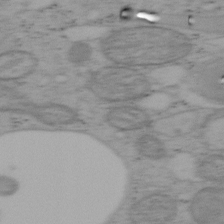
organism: Mouse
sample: OT-I killer T cells with ID8 ovarian cancer cells